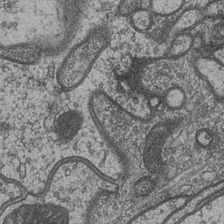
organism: Drosophila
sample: Optic medulla